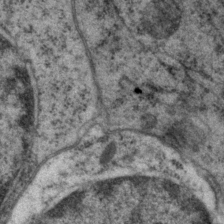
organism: P. pacificus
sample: Pharynx